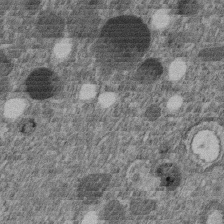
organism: C. elegans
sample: C. elegans embryo early stage